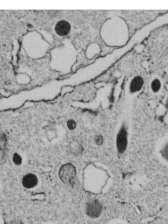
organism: C. elegans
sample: C. elegans embryo early stage